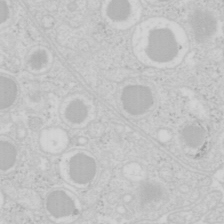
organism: Mouse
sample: Pancreas